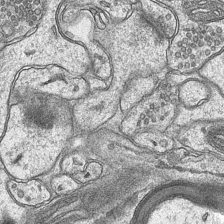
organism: Mouse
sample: CA1 Hippocampus